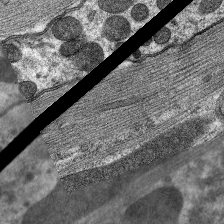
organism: C. elegans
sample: Pharynx